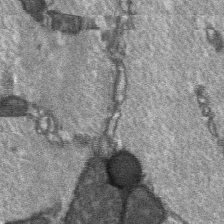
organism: C57BL Mouse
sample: Soleus